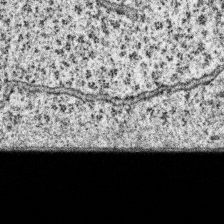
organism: Human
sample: HeLa cells